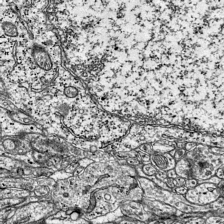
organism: Mouse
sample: Visual Cortex